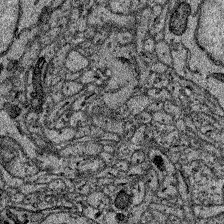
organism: Zebrafish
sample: Larval olfactory bulb